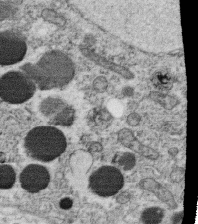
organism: C. elegans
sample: C. elegans oocyte; sperm cells